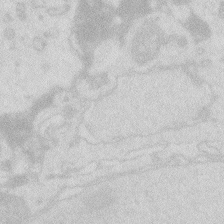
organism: Zebrafish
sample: Macrophage